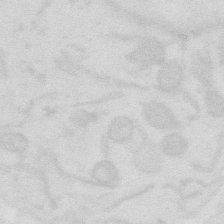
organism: Human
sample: HeLa cells